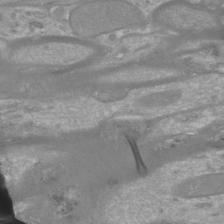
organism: Mouse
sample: Cortical neurons